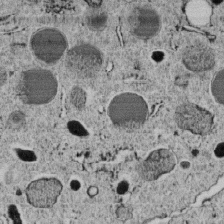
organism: C. elegans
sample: C. elegans embryo early stage